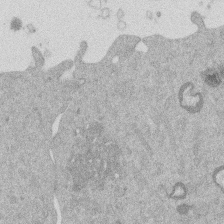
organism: Mouse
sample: Dividing mouse embryo 1 cell stage